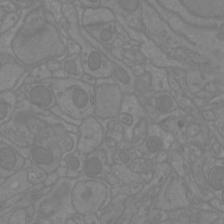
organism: Mouse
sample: Cortical neurons